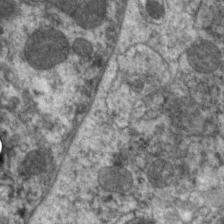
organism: C. elegans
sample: Pharynx